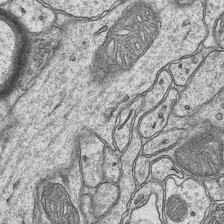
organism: Mouse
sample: CA1 Hippocampus